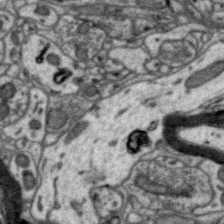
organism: Zebra finch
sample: Brain